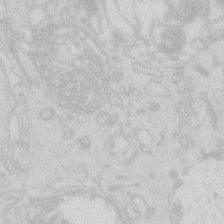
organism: Zebrafish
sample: Macrophage